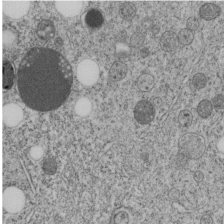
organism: C. elegans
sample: C. elegans embryo early stage